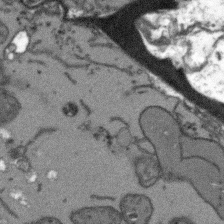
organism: Arabidopsis thaliana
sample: Root tip